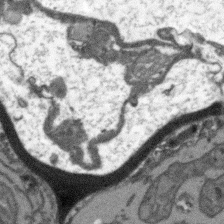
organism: Arabidopsis thaliana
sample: Root tip